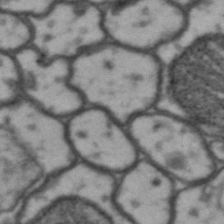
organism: Drosophila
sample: Brain